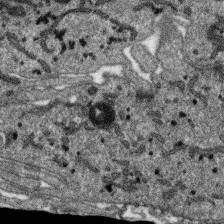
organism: Human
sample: Lung epithelial cells infected with SARS-CoV-2